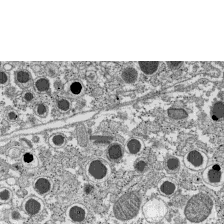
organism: C57BL Mouse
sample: Pancreatic islet